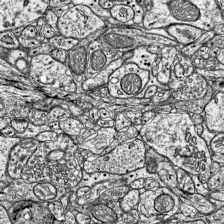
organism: Mouse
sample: Visual Cortex